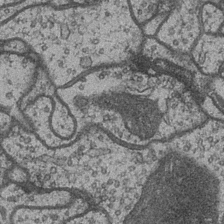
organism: Drosophila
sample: Optic medulla